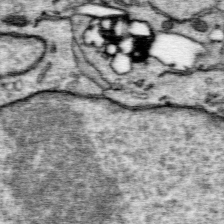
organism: Human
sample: HeLa cells